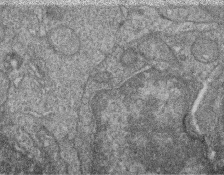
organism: Zebrafish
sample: Cilia; retinal pigment epithelium